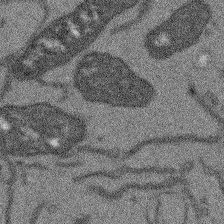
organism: Arabidopsis thaliana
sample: Root tip